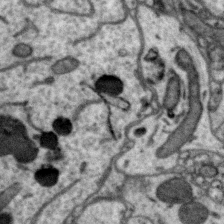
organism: Zebra finch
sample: Brain